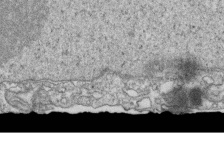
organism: Human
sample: HeLa cell HIV synapse